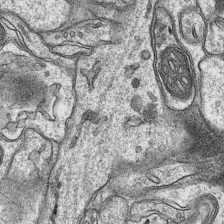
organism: Mouse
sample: CA1 Hippocampus